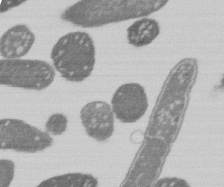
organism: E. coli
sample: Bacterial nucleoid